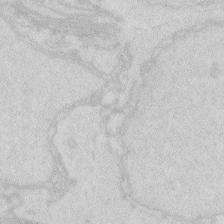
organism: Zebrafish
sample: Macrophage